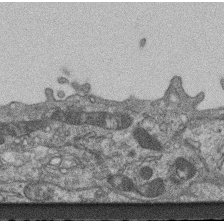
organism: Mouse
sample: Centriole in ependymal cells